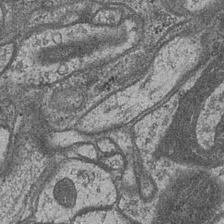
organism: Drosophila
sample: Optic medulla